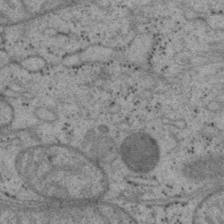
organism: Human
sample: HeLa cells